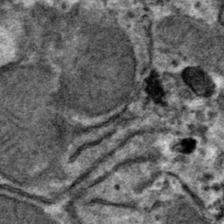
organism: Mouse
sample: Mouse hepatocytes